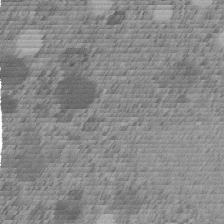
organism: C. elegans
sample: C. elegans embryo early stage